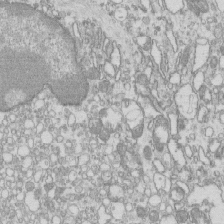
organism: Mouse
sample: Macrophages